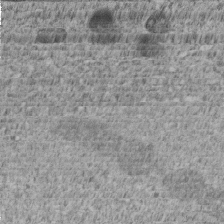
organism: C. elegans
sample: C. elegans embryo early stage